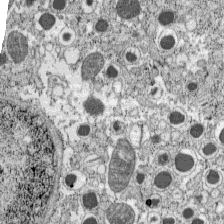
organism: C57BL Mouse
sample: Pancreatic islet